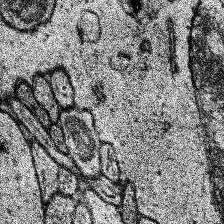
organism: Human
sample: Temporal Lobe